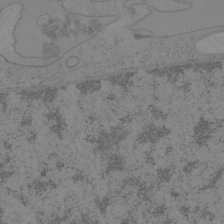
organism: Human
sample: HeLa cells